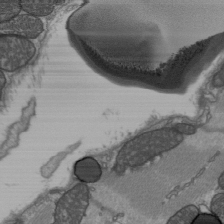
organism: C57BL Mouse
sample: Heart